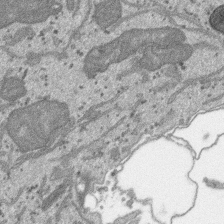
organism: Human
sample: Lung epithelial cells infected with SARS-CoV-2